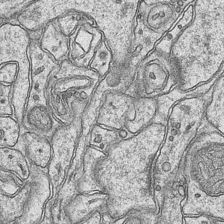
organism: Mouse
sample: CA1 Hippocampus